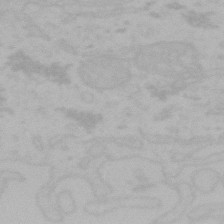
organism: Mouse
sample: Choroid plexus